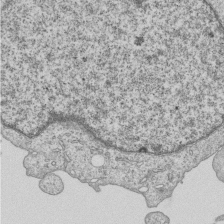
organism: Human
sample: MDA-MB-231 cells